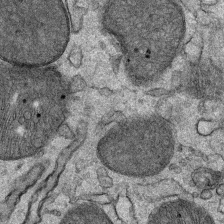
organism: Mouse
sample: Mouse Salivary gland